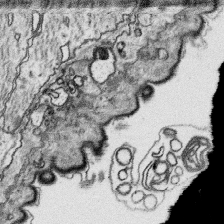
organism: Platynereis dumerilii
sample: Parapodia